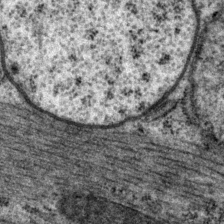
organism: P. pacificus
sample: Pharynx